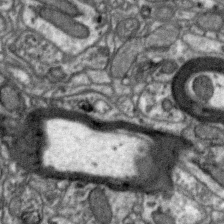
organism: Zebra finch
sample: Brain